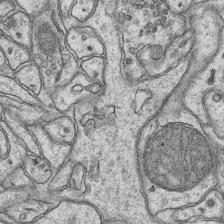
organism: Mouse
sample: CA1 Hippocampus